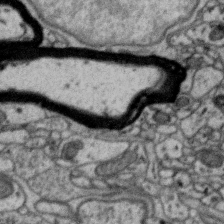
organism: Zebra finch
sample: Brain